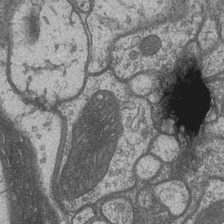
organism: Drosophila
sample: Optic medulla